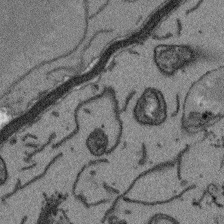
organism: Arabidopsis thaliana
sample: Root tip